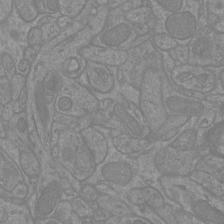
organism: Mouse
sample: Cortical neurons